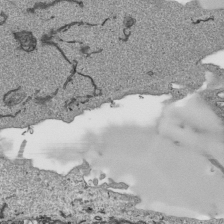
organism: Human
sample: Mitochondria in HCT116 cells